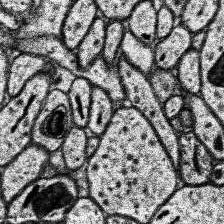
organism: Human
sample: Temporal Lobe